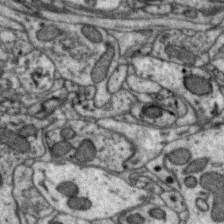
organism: Zebra finch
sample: Brain